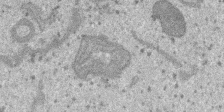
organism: Human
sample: Lung epithelial cells infected with SARS-CoV-2